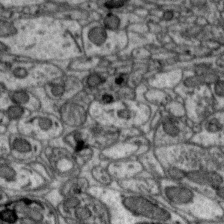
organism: Zebra finch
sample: Brain